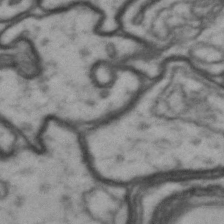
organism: Drosophila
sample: Brain